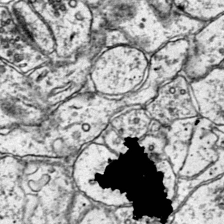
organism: Mouse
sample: Primary visual cortex